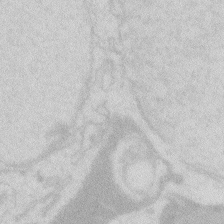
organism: Zebrafish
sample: Macrophage